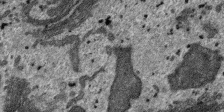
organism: Human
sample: Lung epithelial cells, uninfected (mock) control